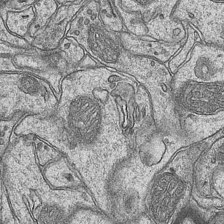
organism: Mouse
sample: CA1 Hippocampus